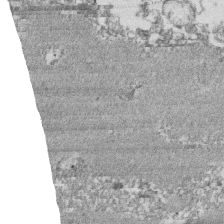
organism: Human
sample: HeLa cell HIV synapse